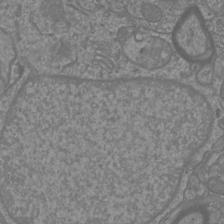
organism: Mouse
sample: Cortical neurons